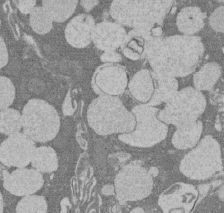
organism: Rat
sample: Salivary granule